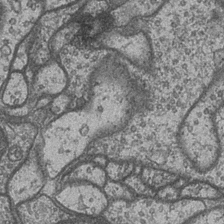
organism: Drosophila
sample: Optic medulla